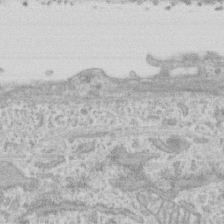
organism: Human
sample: CRL-1474